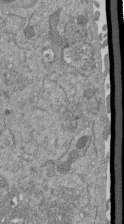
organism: Mouse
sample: ED-1 cell nuclei; centrioles